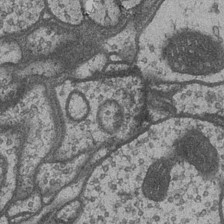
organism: Drosophila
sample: Optic medulla